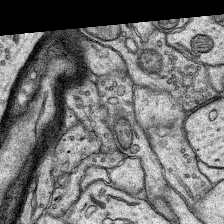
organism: Rat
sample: Hippocampus